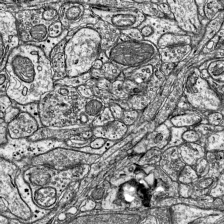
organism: Mouse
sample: Visual Cortex